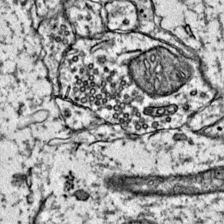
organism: Mouse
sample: Primary visual cortex